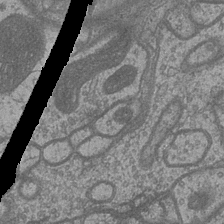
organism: Drosophila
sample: Optic medulla